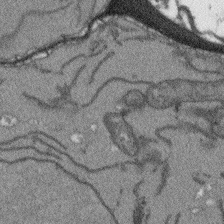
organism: Arabidopsis thaliana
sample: Root tip